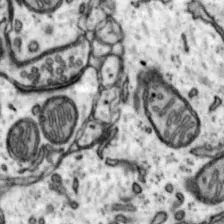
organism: Mouse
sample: Nucleus accumbens